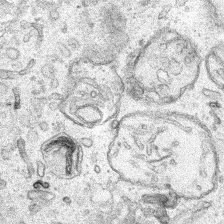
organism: Human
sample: Mitochondria in HCT116 cells